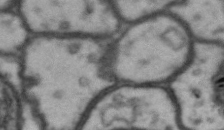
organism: Drosophila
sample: Brain